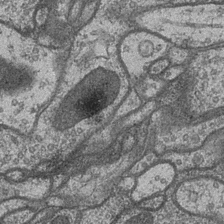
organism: Drosophila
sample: Optic medulla